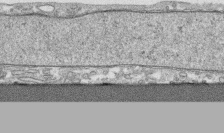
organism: Human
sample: CRL-1474